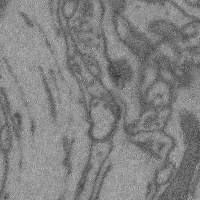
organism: Mouse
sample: Cerebral cortex